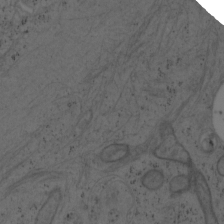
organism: Mouse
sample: OT-I killer T cells with ID8 ovarian cancer cells